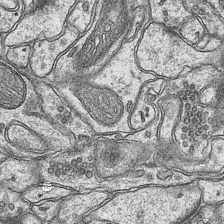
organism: Mouse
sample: CA1 Hippocampus